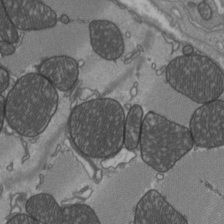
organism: C57BL Mouse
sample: Heart